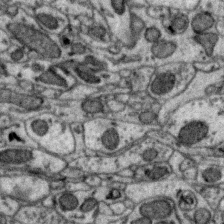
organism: Zebra finch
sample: Brain